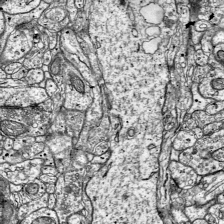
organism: Mouse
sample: Visual Cortex